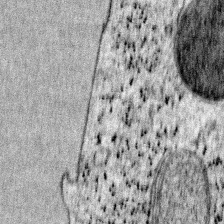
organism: Human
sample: HeLa cells